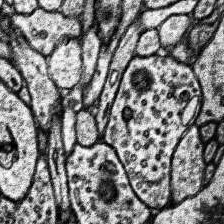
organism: Human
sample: Temporal Lobe